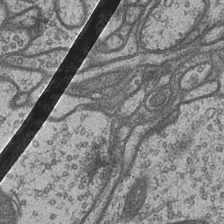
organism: Drosophila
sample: Optic medulla